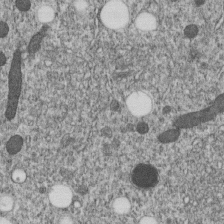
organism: C. elegans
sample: C. elegans embryo early stage